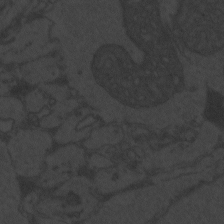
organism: Zebrafish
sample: Macrophage infected with Toxoplasma gondii